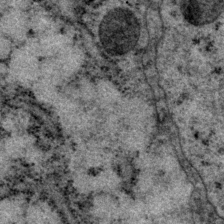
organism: P. pacificus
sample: Pharynx